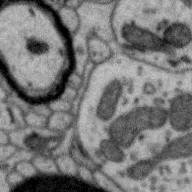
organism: Zebra finch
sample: Brain